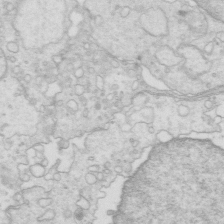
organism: Mouse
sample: Multiciliated cells